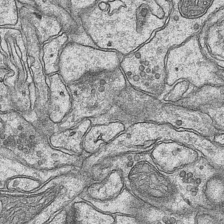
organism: Mouse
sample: CA1 Hippocampus